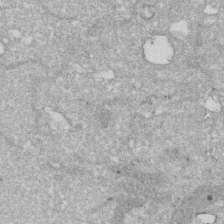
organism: Human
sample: HIV infected U937 cells